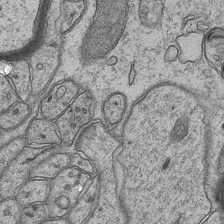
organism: Mouse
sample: CA1 Hippocampus